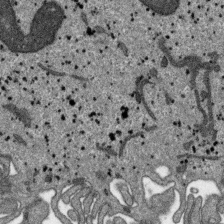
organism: Human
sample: Lung epithelial cells, uninfected (mock) control